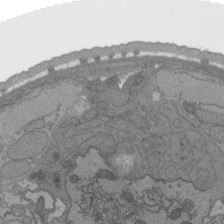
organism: C. elegans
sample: AFD neurons C. elegans